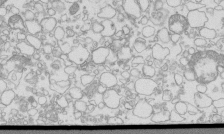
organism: Mouse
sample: Macrophages